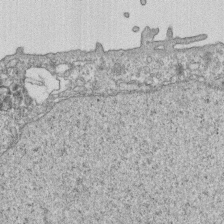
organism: Human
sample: HeLa cell HIV synapse